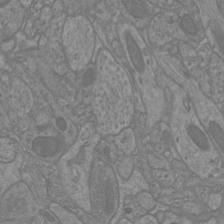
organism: Mouse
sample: Cortical neurons